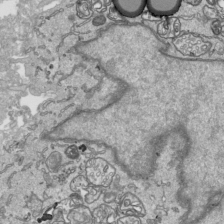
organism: Human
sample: Mitochondria in HCT116 cells